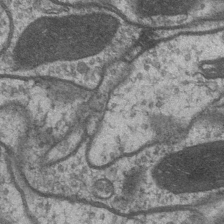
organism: Drosophila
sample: Optic medulla